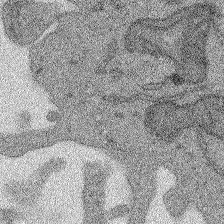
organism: Human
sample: HeLa cells